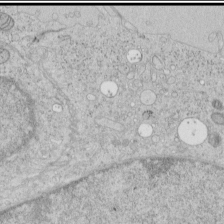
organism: Human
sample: Mitochondria in HCT116 cells